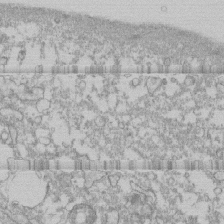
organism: Human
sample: CRL-1474